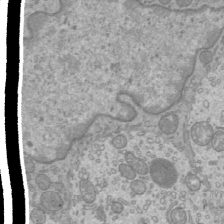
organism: Mouse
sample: Cilia; mouse epididymis